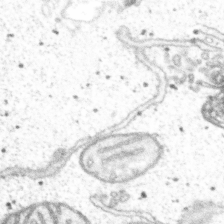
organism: Human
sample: HeLa cells